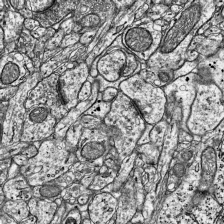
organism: Mouse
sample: Visual Cortex